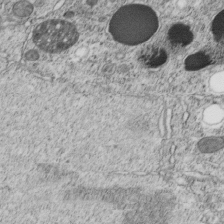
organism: C. elegans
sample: C. elegans embryo early stage